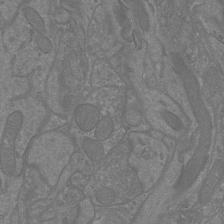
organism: Mouse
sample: Cortical neurons